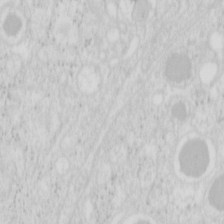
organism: Mouse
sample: Pancreas